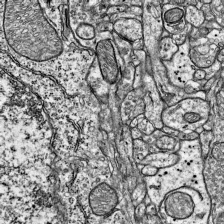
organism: Mouse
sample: Visual Cortex